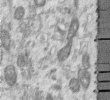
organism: Human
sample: Centriole in RPE cells